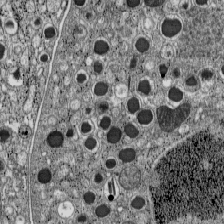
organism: C57BL Mouse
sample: Pancreatic islet